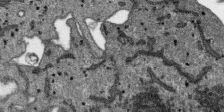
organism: Human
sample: Lung epithelial cells, uninfected (mock) control